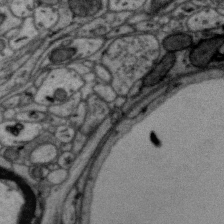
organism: Zebra finch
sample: Brain